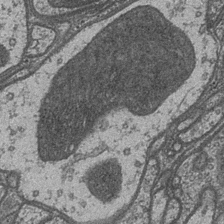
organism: Drosophila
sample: Optic medulla